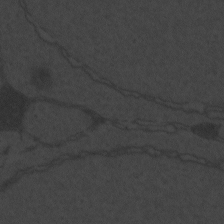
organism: Zebrafish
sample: Macrophage infected with Toxoplasma gondii